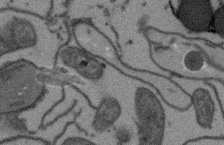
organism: Arabidopsis thaliana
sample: Root tip